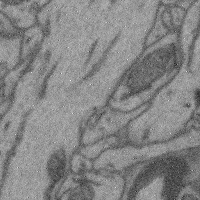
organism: Mouse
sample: Cerebral cortex